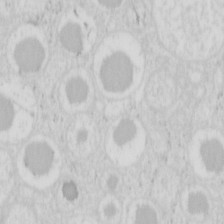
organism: Mouse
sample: Pancreas